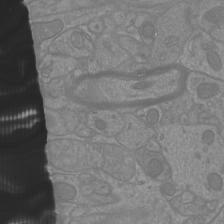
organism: Mouse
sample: Cortical neurons